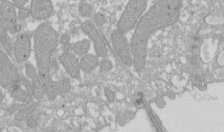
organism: Xenopus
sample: Cilia; centrioles in frog embryo cells